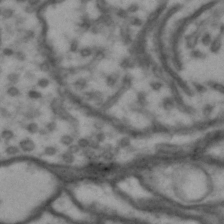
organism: Drosophila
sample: Brain